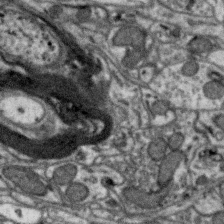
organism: Zebra finch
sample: Brain